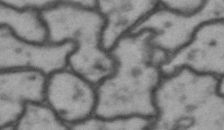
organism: Drosophila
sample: Brain